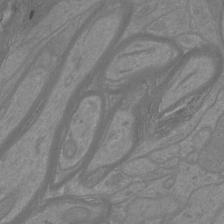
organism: Mouse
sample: Cortical neurons